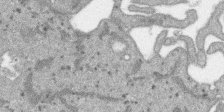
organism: Human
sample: Lung epithelial cells infected with SARS-CoV-2